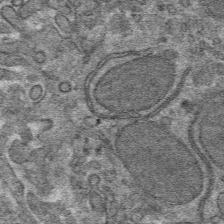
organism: Mouse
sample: Mouse hepatocytes